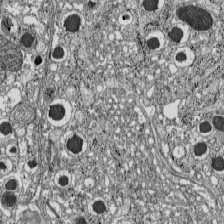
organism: C57BL Mouse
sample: Pancreatic islet